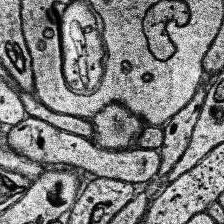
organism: Human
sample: Temporal Lobe